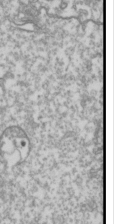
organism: Drosophila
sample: Cell division; meiosis; drosophila spermatocytes